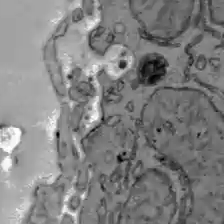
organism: C57BL Mouse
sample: Liver